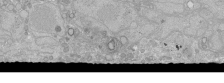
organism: Human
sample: Caco-2 cells